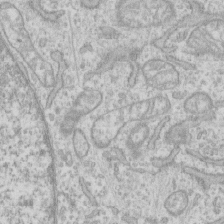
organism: Human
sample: CRL-1474